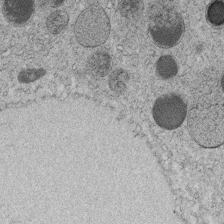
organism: C. elegans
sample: C. elegans embryo early stage